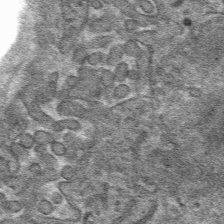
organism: Mouse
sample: Mouse hepatocytes